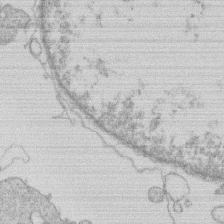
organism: Human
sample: Macrophage cells